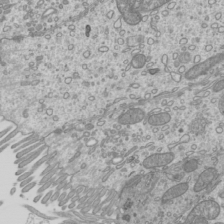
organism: Mouse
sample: Cilia; mouse epididymis